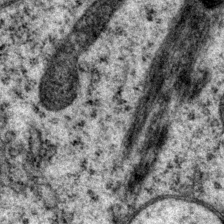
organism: P. pacificus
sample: Pharynx